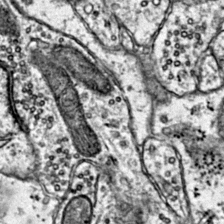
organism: Mouse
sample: Primary visual cortex